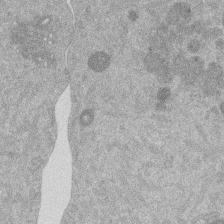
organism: Mouse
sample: Dividing mouse embryo 1 cell stage